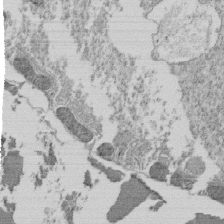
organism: Tetrahymena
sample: Cilia in tetrahymena